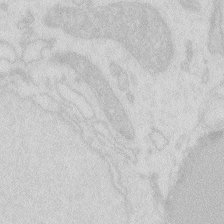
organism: Zebrafish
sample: Macrophage